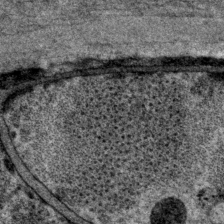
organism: P. pacificus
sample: Pharynx